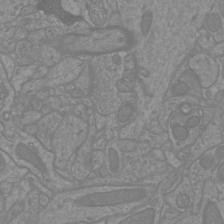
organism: Mouse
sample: Cortical neurons